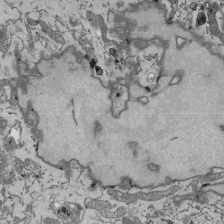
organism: Mouse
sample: ED-1 cell nuclei; centrioles